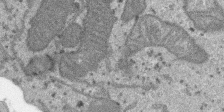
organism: Human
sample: Lung epithelial cells infected with SARS-CoV-2